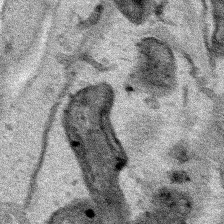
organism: Human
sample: Mitochondria in HCT116 cells